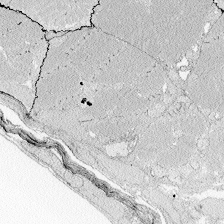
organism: Zebrafish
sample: Whole-Brain